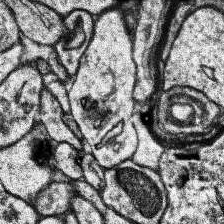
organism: Human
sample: Temporal Lobe